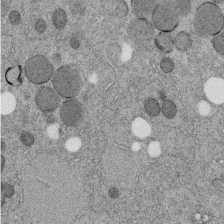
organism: C. elegans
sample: C. elegans embryo early stage